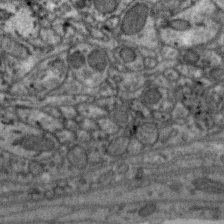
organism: Zebra finch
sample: Brain